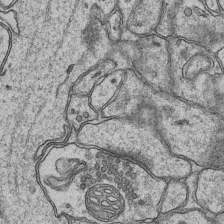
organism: Mouse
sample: CA1 Hippocampus